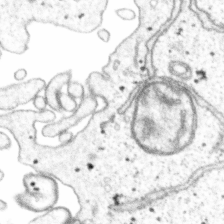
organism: Human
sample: HeLa cells